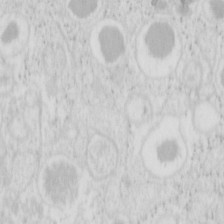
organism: Mouse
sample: Pancreas